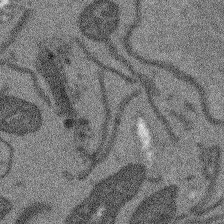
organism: Arabidopsis thaliana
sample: Root tip